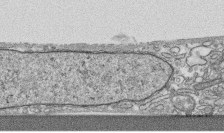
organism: Human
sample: CRL-1474